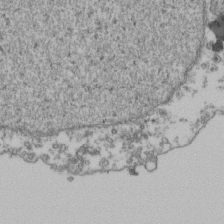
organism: Human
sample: Activated Jurkat CD4+ T cells